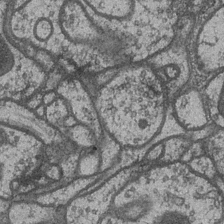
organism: Drosophila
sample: Optic medulla